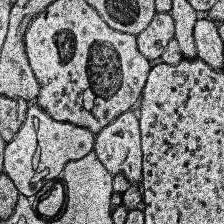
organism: Human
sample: Temporal Lobe